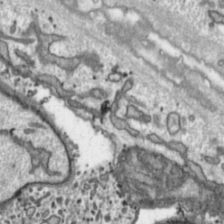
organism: Toxoplasma gondii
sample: Parasites in a vacuole inside a host cell